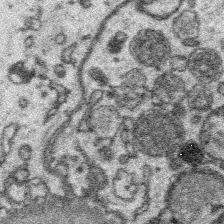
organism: Platynereis dumerilii